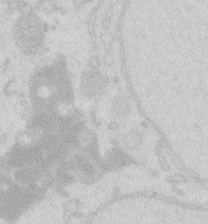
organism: Zebrafish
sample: Macrophage